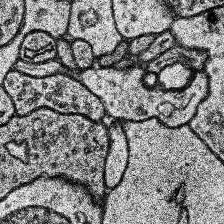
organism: Human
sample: Temporal Lobe